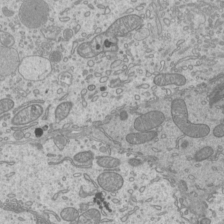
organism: Mouse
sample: Cilia; mouse epididymis